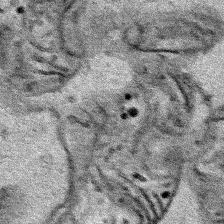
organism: Human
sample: Mitochondria in HCT116 cells